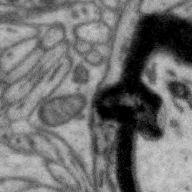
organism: Zebra finch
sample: Brain